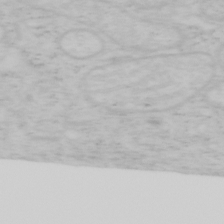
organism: Mouse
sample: OT-I killer T cells with ID8 ovarian cancer cells